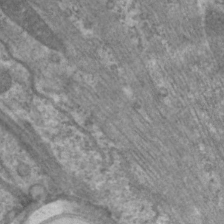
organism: C. elegans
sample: Pharynx